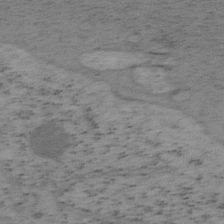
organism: Mouse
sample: OT-I killer T cells with ID8 ovarian cancer cells